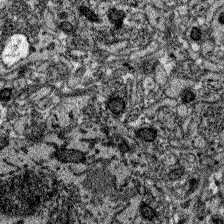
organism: Zebrafish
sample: Larval olfactory bulb